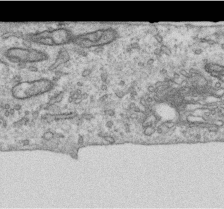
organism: Human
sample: Centriole in RPE cells